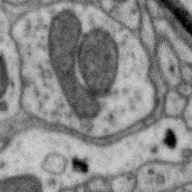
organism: Zebra finch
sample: Brain